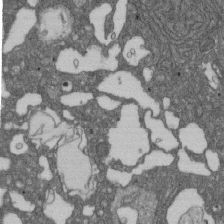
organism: Drosophila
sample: Nephrocyte